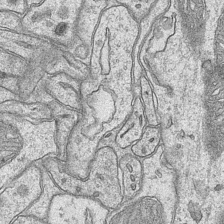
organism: Mouse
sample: CA1 Hippocampus